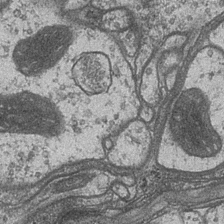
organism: Drosophila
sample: Optic medulla